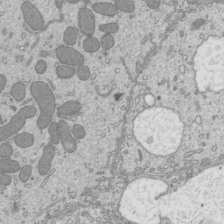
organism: Mouse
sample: Cilia; mouse epididymis